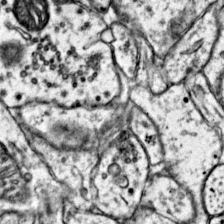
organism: Mouse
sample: Primary visual cortex